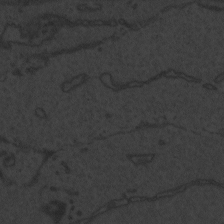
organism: Zebrafish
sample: Macrophage infected with Toxoplasma gondii